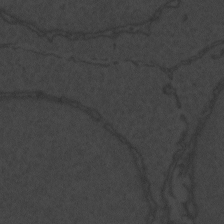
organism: Zebrafish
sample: Macrophage infected with Toxoplasma gondii